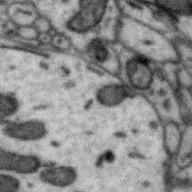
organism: Zebra finch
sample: Brain